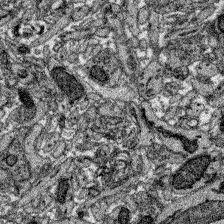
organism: Zebrafish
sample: Larval olfactory bulb